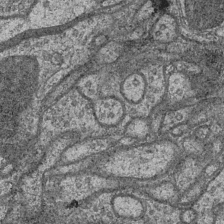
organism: Drosophila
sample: Optic medulla